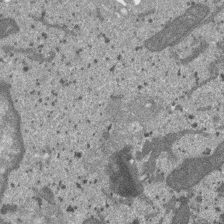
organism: Human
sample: Lung epithelial cells infected with SARS-CoV-2